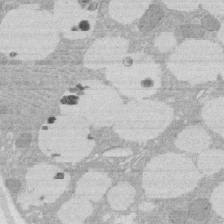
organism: Rat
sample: Salivary granule